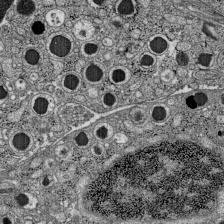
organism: C57BL Mouse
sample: Pancreatic islet